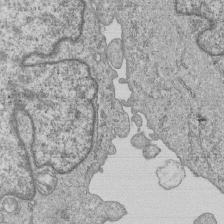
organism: Human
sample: MDA-MB-231 cells